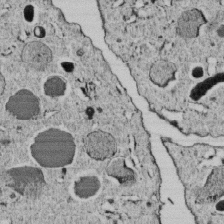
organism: C. elegans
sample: C. elegans embryo early stage